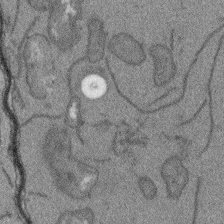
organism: Arabidopsis thaliana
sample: Root tip